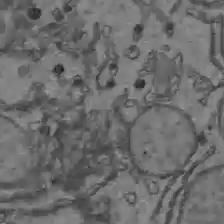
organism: C57BL Mouse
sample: Liver